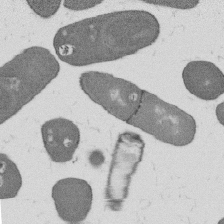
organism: B. subtilis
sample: Bacterial spore